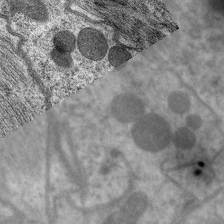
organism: C. elegans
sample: Pharynx